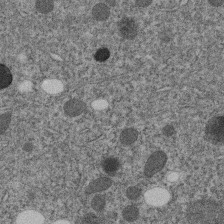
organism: C. elegans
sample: C. elegans embryo early stage